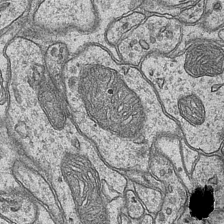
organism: Mouse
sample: CA1 Hippocampus